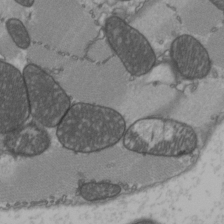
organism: C57BL Mouse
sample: Heart